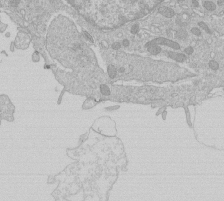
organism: Human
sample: Macrophage cells